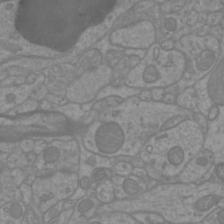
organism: Mouse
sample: Cortical neurons